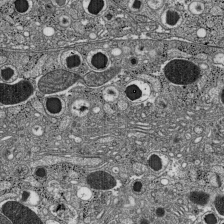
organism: C57BL Mouse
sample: Pancreatic islet